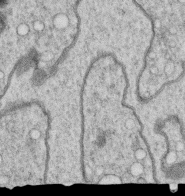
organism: C. elegans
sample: C. elegans oocyte; sperm cells